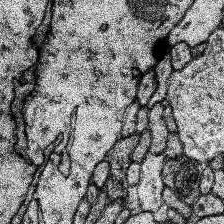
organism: Human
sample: Temporal Lobe